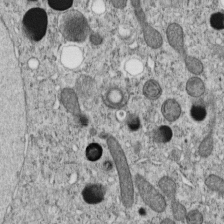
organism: C. elegans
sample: C. elegans embryo early stage